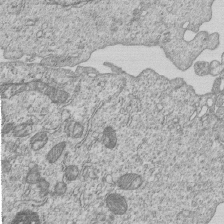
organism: Human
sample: MDA-MB-231 cells